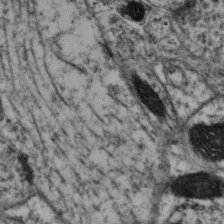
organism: Mouse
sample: Neocortex